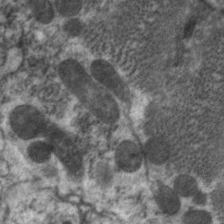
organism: C. elegans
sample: Pharynx